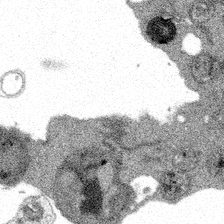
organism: Spongilla lacustris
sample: Multiple